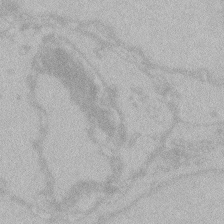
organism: Zebrafish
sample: Macrophage infected with Toxoplasma gondii